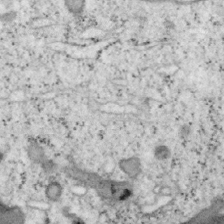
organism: Mouse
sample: OT-I killer T cells with ID8 ovarian cancer cells